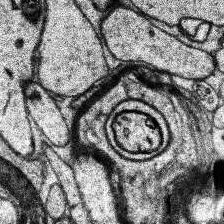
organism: Human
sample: Temporal Lobe